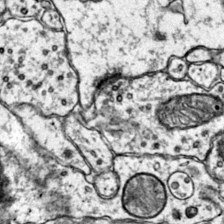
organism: Mouse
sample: Primary visual cortex